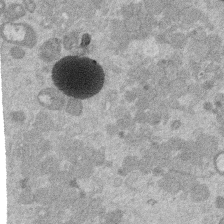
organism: Mouse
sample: Dividing mouse embryo 1 cell stage